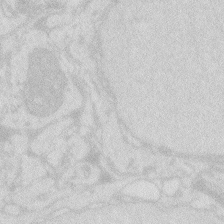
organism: Zebrafish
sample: Macrophage